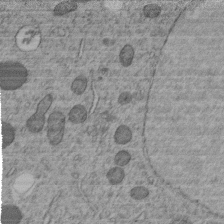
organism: C. elegans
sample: C. elegans embryo early stage